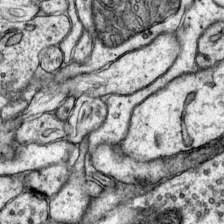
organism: Mouse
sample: Primary visual cortex